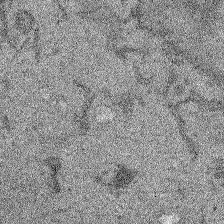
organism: Human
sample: HeLa cells